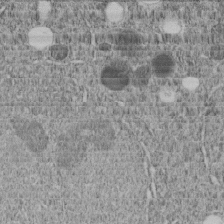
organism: C. elegans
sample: C. elegans embryo early stage